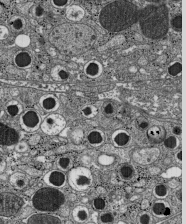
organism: C57BL Mouse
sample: Pancreatic islet